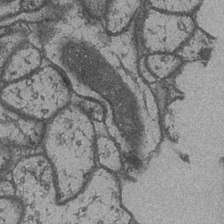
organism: Drosophila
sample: Optic medulla